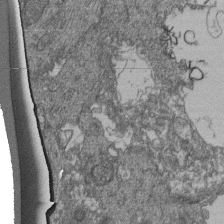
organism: Human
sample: Retinal organoid Rod and Cone cells